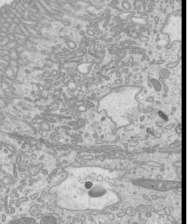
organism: Mouse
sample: Cilia; mouse epididymis